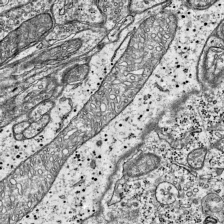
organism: Mouse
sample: Visual Cortex